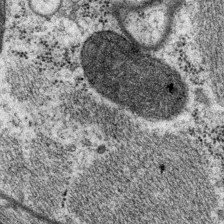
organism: P. pacificus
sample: Pharynx